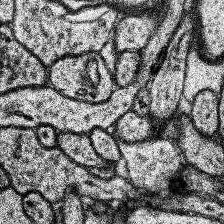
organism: Human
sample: Temporal Lobe